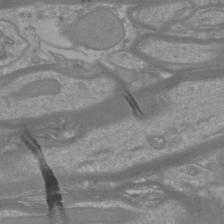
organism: Mouse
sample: Cortical neurons